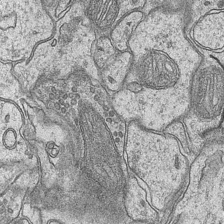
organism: Mouse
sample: CA1 Hippocampus